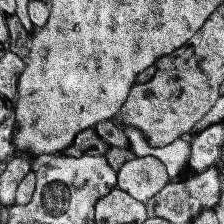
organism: Human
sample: Temporal Lobe